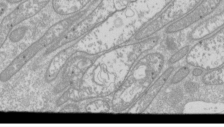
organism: Drosophila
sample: Cell division; meiosis; drosophila spermatocytes